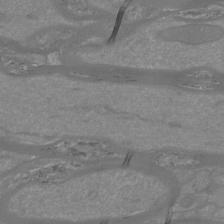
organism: Mouse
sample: Cortical neurons